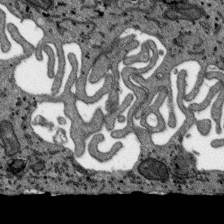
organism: Human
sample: Lung epithelial cells, uninfected (mock) control